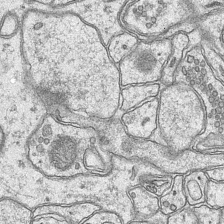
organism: Mouse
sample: CA1 Hippocampus